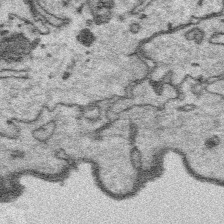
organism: Platynereis dumerilii